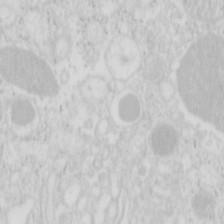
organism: Mouse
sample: Pancreas